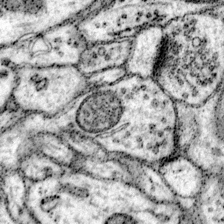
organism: Mouse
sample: Primary visual cortex